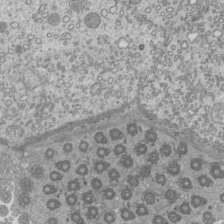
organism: Mouse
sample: Cilia; mouse epididymis